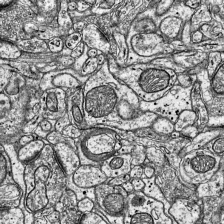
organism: Mouse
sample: Visual Cortex